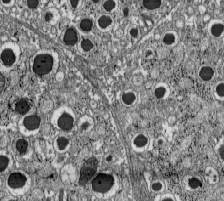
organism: C57BL Mouse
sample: Pancreatic islet